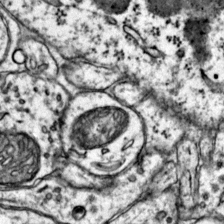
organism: Mouse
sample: Primary visual cortex